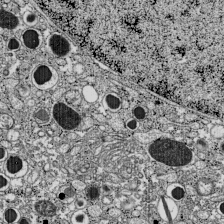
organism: C57BL Mouse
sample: Pancreatic islet